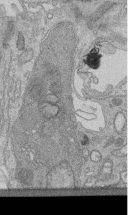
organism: Human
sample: Retinal organoid Rod and Cone cells